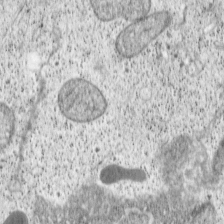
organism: African green monkey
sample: COS-7 cells